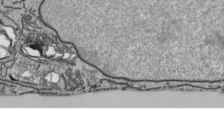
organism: Human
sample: Mitochondria in HCT116 cells